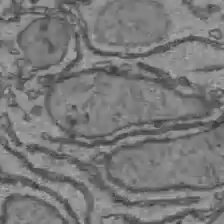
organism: C57BL Mouse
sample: Liver